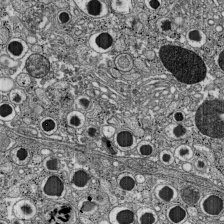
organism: C57BL Mouse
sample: Pancreatic islet